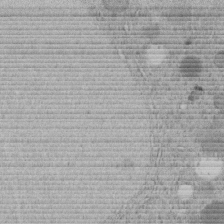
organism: C. elegans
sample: C. elegans embryo early stage